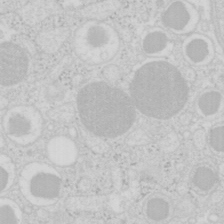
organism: Mouse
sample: Pancreas